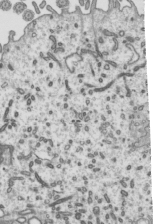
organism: Mouse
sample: Mouse epididymis efferent ductule cilia